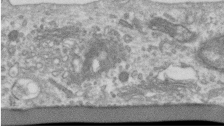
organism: Human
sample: Centriole in RPE cells